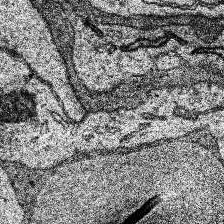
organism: Human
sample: Temporal Lobe